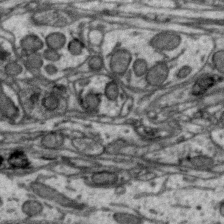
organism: Zebra finch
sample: Brain